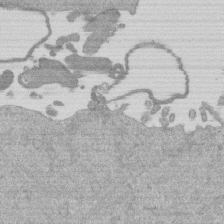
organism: Mouse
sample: Dividing mouse embryo 1 cell stage